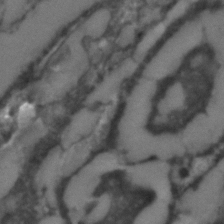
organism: C. elegans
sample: C. elegans embryo